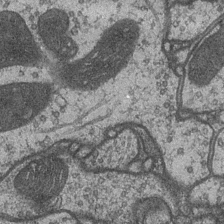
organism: Drosophila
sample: Optic medulla